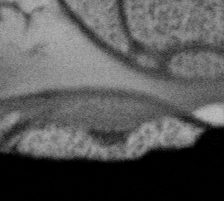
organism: Gemmata obscuriglobus